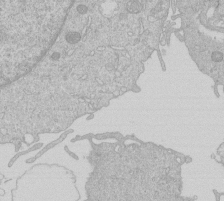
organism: Human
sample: Macrophage cells